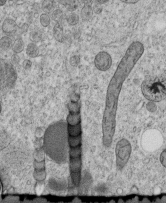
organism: C. elegans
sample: C. elegans embryo early stage